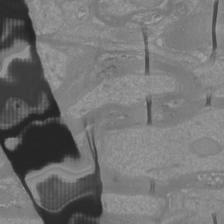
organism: Mouse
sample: Cortical neurons